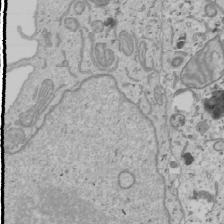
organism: Human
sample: Mitochondria in U2OS cells